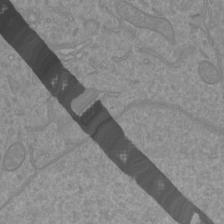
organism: Mouse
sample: Cortical neurons